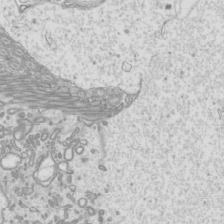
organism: Mouse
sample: Cilia; mouse epididymis